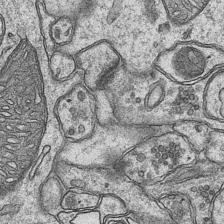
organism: Mouse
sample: CA1 Hippocampus